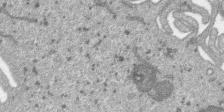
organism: Human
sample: Lung epithelial cells infected with SARS-CoV-2